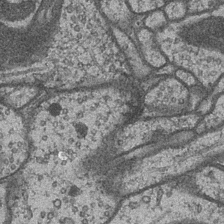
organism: Drosophila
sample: Optic medulla